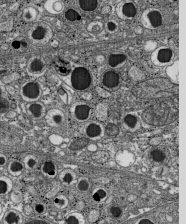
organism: C57BL Mouse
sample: Pancreatic islet